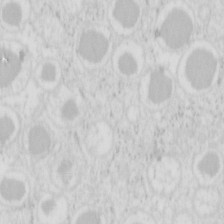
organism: Mouse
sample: Pancreas